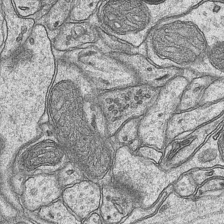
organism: Mouse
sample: CA1 Hippocampus